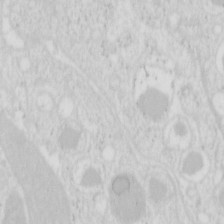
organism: Mouse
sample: Pancreas